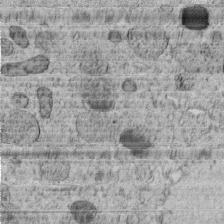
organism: C. elegans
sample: C. elegans embryo early stage